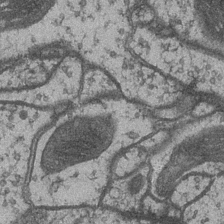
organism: Drosophila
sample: Optic medulla